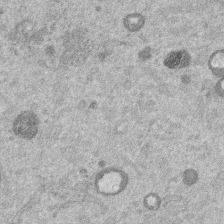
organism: Mouse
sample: Dividing mouse embryo 1 cell stage